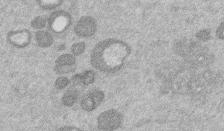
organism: Mouse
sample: Dividing mouse embryo 1 cell stage